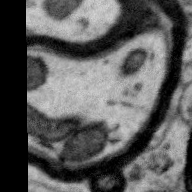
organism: Zebra finch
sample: Brain